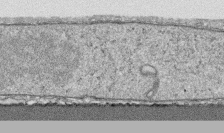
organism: Human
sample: CRL-1474